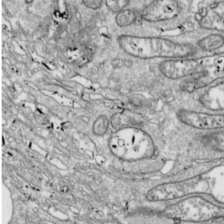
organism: Drosophila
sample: Cell division; meiosis; drosophila spermatocytes